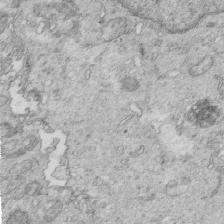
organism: Mouse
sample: Multiciliated cells